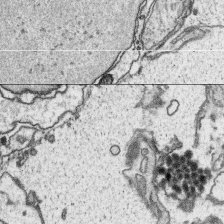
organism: Platynereis dumerilii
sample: Parapodia